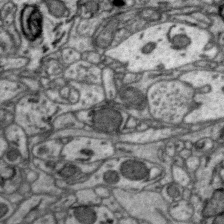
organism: Zebra finch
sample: Brain